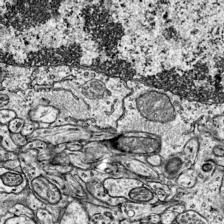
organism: Mouse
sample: Visual Cortex